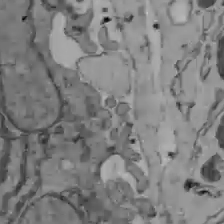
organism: C57BL Mouse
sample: Liver